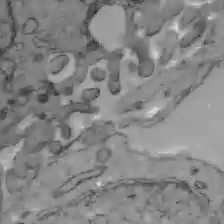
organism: C57BL Mouse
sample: Liver